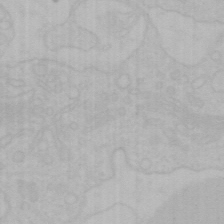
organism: Mouse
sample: Choroid plexus